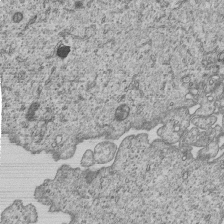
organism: Human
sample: MDA-MB-231 cells